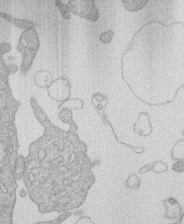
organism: Human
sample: Macrophage cells